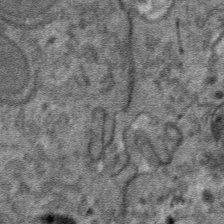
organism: Mouse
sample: Mouse hepatocytes